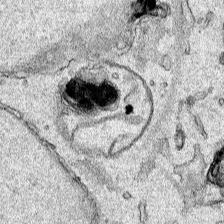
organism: Human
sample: Mitochondria in HCT116 cells